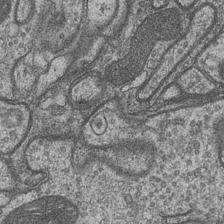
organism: Drosophila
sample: Optic medulla